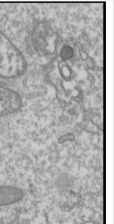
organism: Drosophila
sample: Cell division; meiosis; drosophila spermatocytes